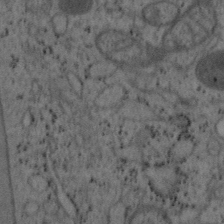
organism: Human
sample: HeLa cells